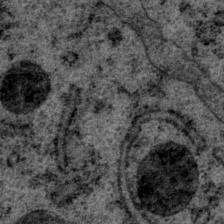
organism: P. pacificus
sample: Pharynx